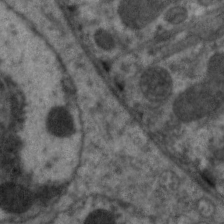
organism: C. elegans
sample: Pharynx